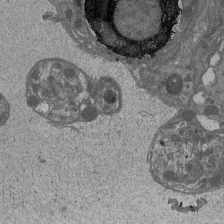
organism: Drosophila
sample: Antenna